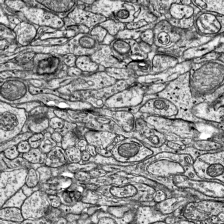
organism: Mouse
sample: Visual Cortex